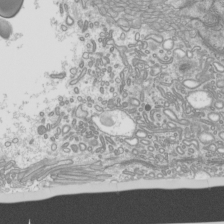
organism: Mouse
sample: Cilia; mouse epididymis